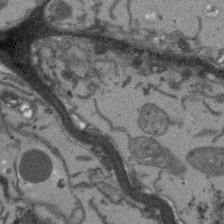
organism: Arabidopsis thaliana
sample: Root tip